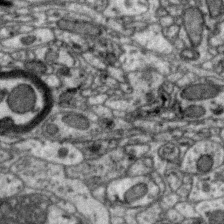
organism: Zebra finch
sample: Brain